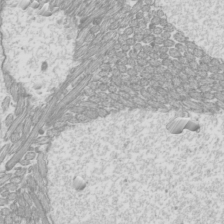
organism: Mouse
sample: Cilia; mouse epididymis